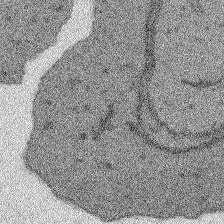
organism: Human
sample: HeLa cells